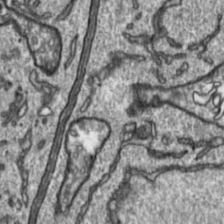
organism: Toxoplasma gondii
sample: Parasites in a vacuole inside a host cell